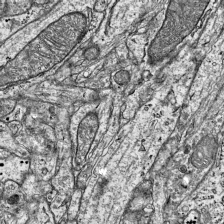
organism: Mouse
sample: Visual Cortex